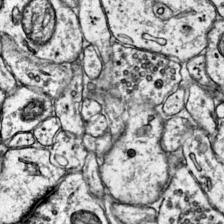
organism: Mouse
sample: Primary visual cortex